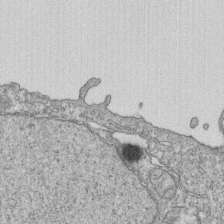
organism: Human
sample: HeLa cell HIV synapse